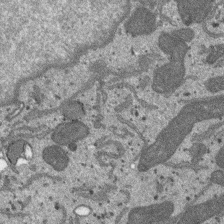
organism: Human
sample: Lung epithelial cells infected with SARS-CoV-2